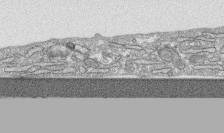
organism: Human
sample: CRL-1474